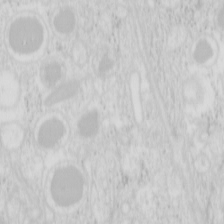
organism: Mouse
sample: Pancreas